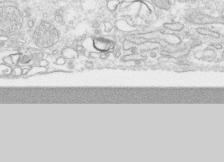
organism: Human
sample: CRL-1474